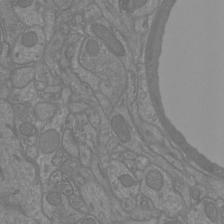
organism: Mouse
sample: Cortical neurons